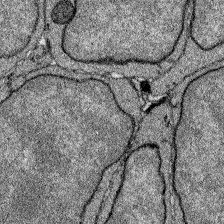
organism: Zebrafish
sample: Larval olfactory bulb